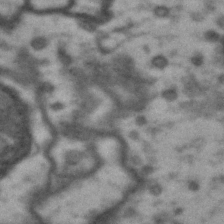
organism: Drosophila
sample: Brain